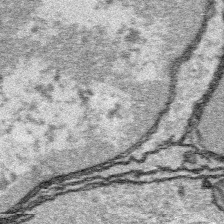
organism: Platynereis dumerilii